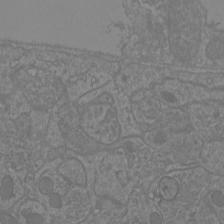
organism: Mouse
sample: Cortical neurons